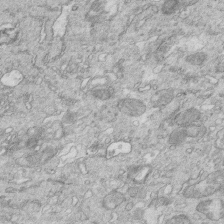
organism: Mouse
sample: Multiciliated cells